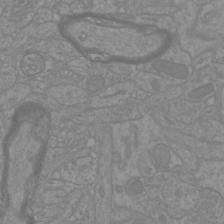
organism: Mouse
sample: Cortical neurons